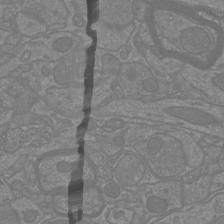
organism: Mouse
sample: Cortical neurons